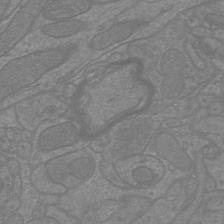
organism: Mouse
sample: Cortical neurons